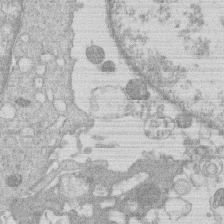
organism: Human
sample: Macrophage cells